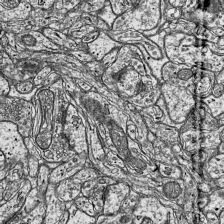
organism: Mouse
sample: Visual Cortex